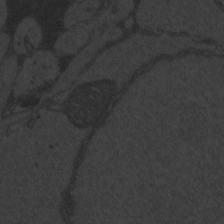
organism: Zebrafish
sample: Macrophage infected with Toxoplasma gondii